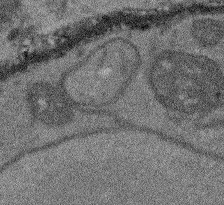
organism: Arabidopsis thaliana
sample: Root tip